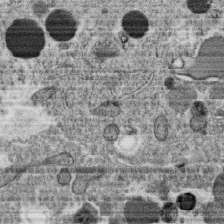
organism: C. elegans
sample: C. elegans oocyte; sperm cells